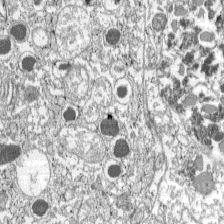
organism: C57BL Mouse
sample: Pancreatic islet